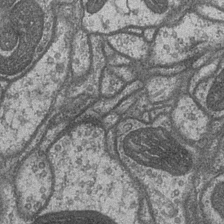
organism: Drosophila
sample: Optic medulla